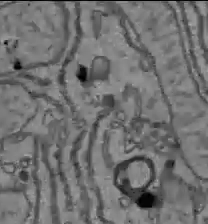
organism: C57BL Mouse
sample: Liver